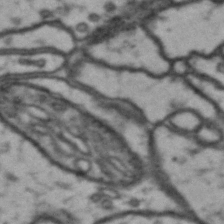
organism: Drosophila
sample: Brain